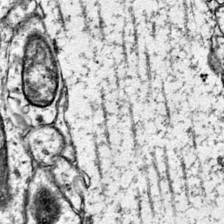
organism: Mouse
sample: Primary visual cortex